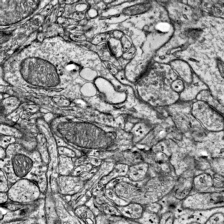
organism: Mouse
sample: Visual Cortex